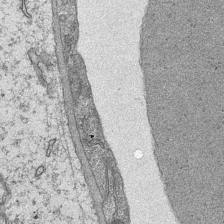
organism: Mouse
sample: CA1 Hippocampus